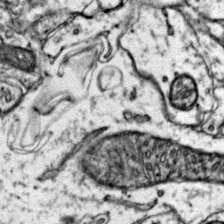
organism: Mouse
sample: Primary visual cortex